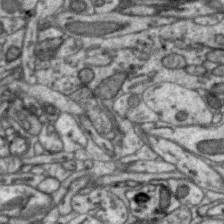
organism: Zebra finch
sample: Brain